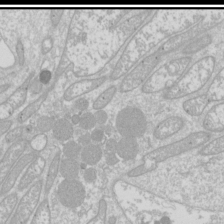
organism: Drosophila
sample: Cell division; meiosis; drosophila spermatocytes